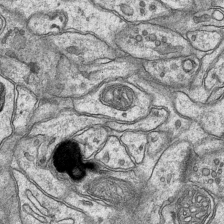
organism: Mouse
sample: CA1 Hippocampus